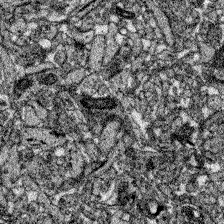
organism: Zebrafish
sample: Larval olfactory bulb